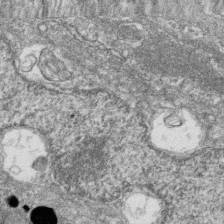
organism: Zebrafish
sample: Cilia; retinal pigment epithelium